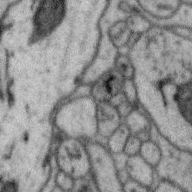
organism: Zebra finch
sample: Brain